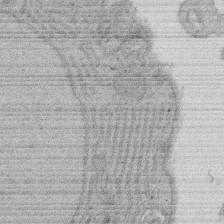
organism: Rat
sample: Salivary granule